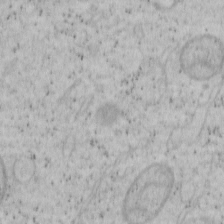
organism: Human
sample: HeLa cells